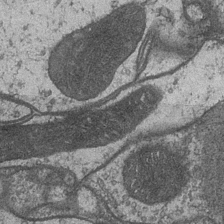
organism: Drosophila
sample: Optic medulla